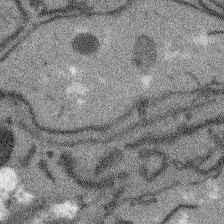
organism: Arabidopsis thaliana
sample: Root tip